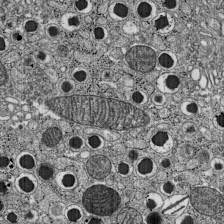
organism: C57BL Mouse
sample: Pancreatic islet